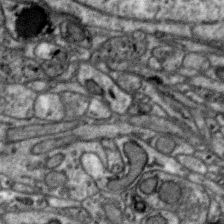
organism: Zebra finch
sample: Brain